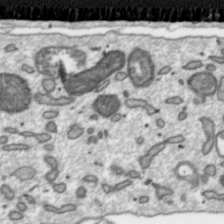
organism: Toxoplasma gondii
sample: Parasites in a vacuole inside a host cell